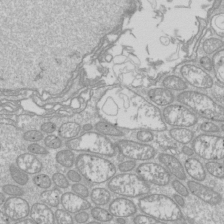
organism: Drosophila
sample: Cell division; meiosis; drosophila spermatocytes